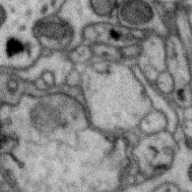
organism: Zebra finch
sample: Brain